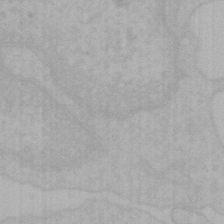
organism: Mouse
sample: Choroid plexus